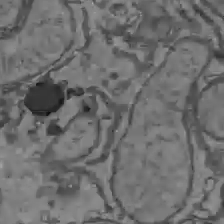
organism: C57BL Mouse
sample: Liver